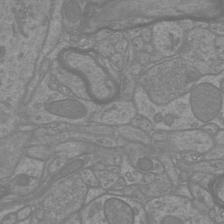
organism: Mouse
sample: Cortical neurons